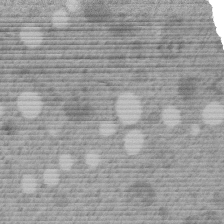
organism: C. elegans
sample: C. elegans embryo early stage